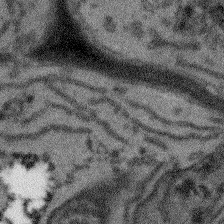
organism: Arabidopsis thaliana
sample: Root tip